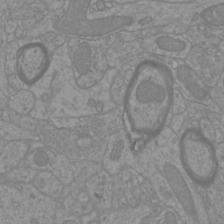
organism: Mouse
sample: Cortical neurons